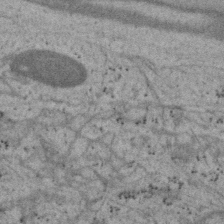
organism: Human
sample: HeLa cells